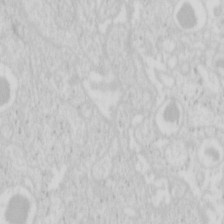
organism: Mouse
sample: Pancreas